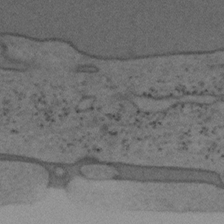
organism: Human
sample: HeLa cells